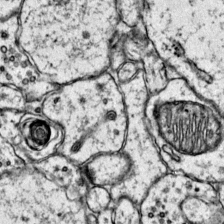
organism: Mouse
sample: Primary visual cortex